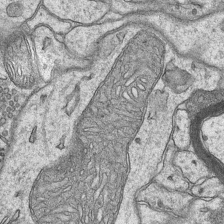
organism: Mouse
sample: CA1 Hippocampus